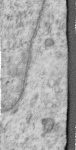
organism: Human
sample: Centriole in RPE cells